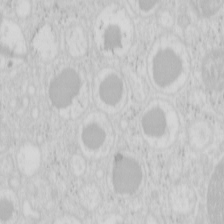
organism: Mouse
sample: Pancreas